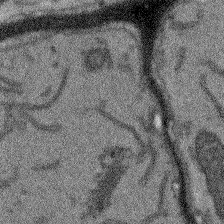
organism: Arabidopsis thaliana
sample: Root tip